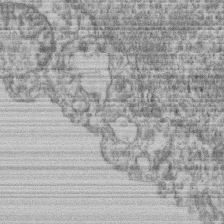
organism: Mouse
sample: T cell stromal cell synapse